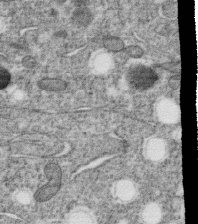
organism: C. elegans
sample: C. elegans oocyte; sperm cells